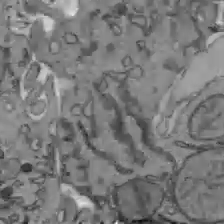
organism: C57BL Mouse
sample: Liver